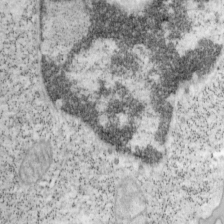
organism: Mouse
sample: OT-I killer T cells with ID8 ovarian cancer cells